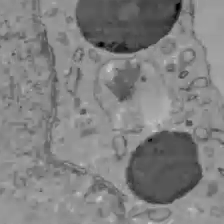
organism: C57BL Mouse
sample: Liver